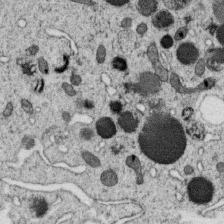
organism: C. elegans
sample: C. elegans oocyte; sperm cells